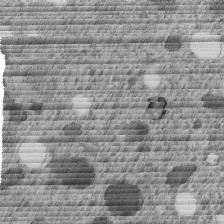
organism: C. elegans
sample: C. elegans embryo early stage